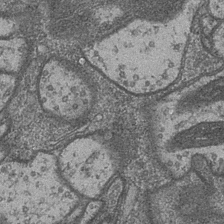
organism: Drosophila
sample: Optic medulla